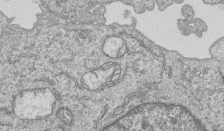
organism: Human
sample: MDA-MB-231 cells